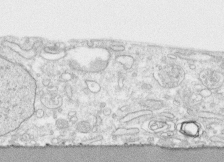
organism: Human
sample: CRL-1474